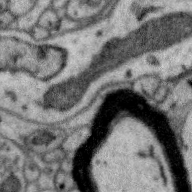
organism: Zebra finch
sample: Brain